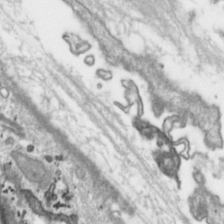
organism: Toxoplasma gondii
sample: Parasites in a vacuole inside a host cell